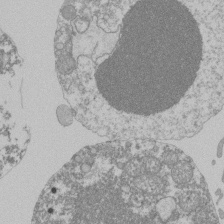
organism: Mouse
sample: Activated Pmel transgenic CD8+ T Cells